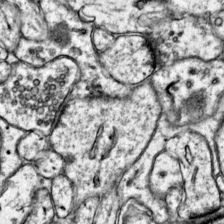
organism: Mouse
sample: Primary visual cortex